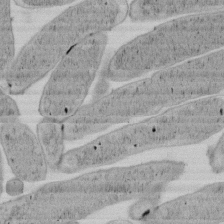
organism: E. coli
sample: Bacterial nucleoid